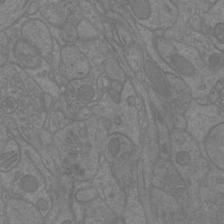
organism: Mouse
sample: Cortical neurons